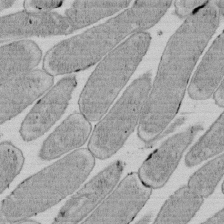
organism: E. coli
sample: Bacterial nucleoid